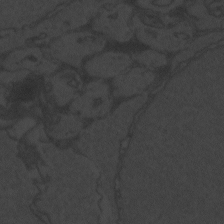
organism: Zebrafish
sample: Macrophage infected with Toxoplasma gondii